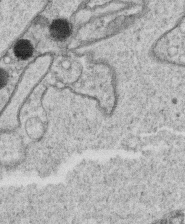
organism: C. elegans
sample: C. elegans oocyte; sperm cells